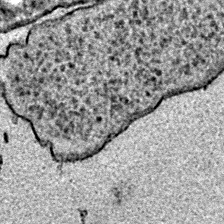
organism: E. coli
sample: E. Coli Bacteria